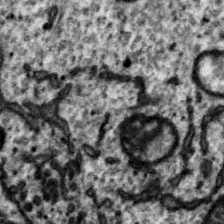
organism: Human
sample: HeLa cells